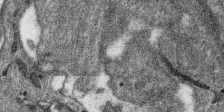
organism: Human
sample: Lung epithelial cells infected with SARS-CoV-2